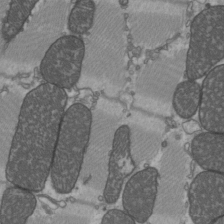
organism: C57BL Mouse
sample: Heart